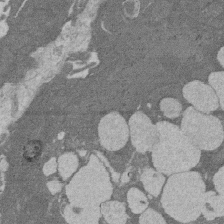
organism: Rat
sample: Salivary granule